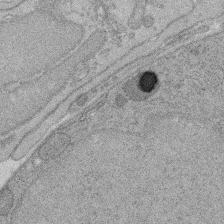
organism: Rat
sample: Salivary granule